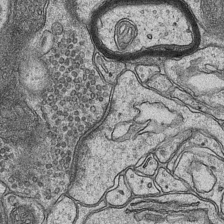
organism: Mouse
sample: CA1 Hippocampus